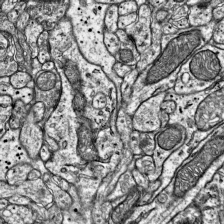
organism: Mouse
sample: Visual Cortex